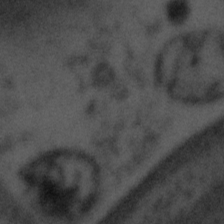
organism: Tuwongella immobilis